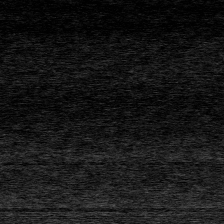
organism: Human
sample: HeLa cells